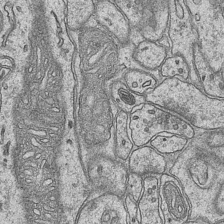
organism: Mouse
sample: CA1 Hippocampus